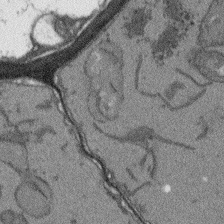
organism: Arabidopsis thaliana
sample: Root tip